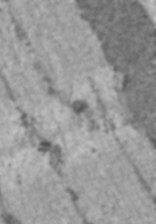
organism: C57BL Mouse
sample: Heart